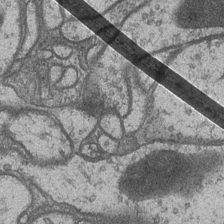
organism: Drosophila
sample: Optic medulla